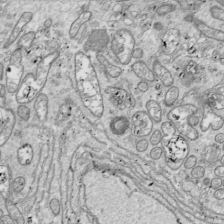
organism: Drosophila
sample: Cell division; meiosis; drosophila spermatocytes